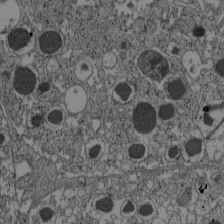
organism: C57BL Mouse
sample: Pancreatic islet